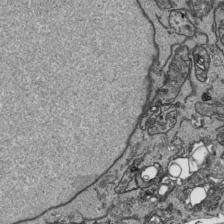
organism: Human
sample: Mitochondria in HCT116 cells